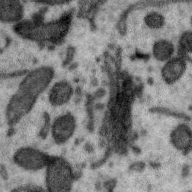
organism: Zebra finch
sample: Brain